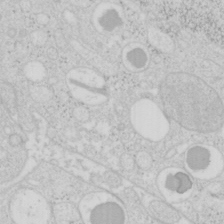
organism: Mouse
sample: Pancreas